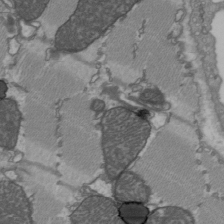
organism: C57BL Mouse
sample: Heart